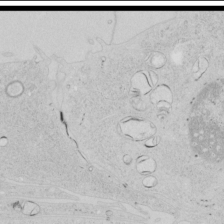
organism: Human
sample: Mitochondria in HCT116 cells